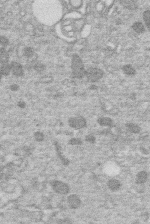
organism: Human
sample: Macrophage cells